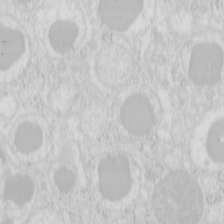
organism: Mouse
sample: Pancreas